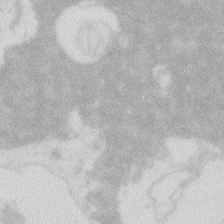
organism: Zebrafish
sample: Macrophage